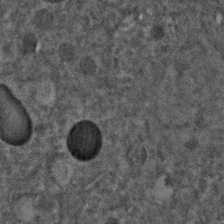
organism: C. elegans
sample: C. elegans embryo